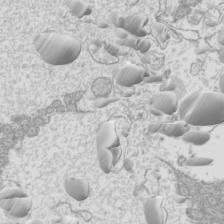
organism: Mouse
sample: Cilia; mouse epididymis